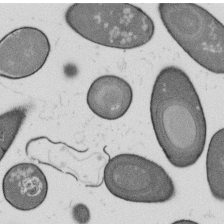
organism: B. subtilis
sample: Bacterial spore